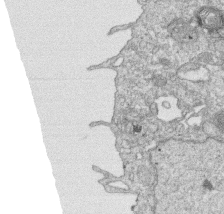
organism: Human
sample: HeLa cell HIV synapse